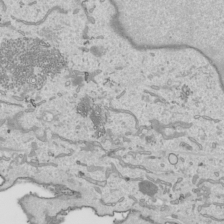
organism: Human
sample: Mitochondria in HCT116 cells